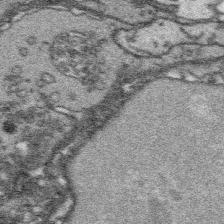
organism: Platynereis dumerilii